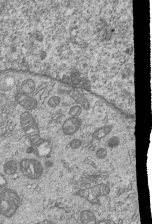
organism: Human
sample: MDA-MB-231 cells